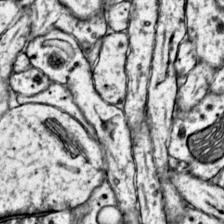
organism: Mouse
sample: Primary visual cortex